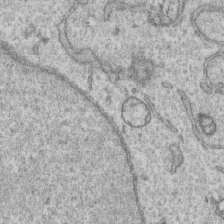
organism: Human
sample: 1205lu cells